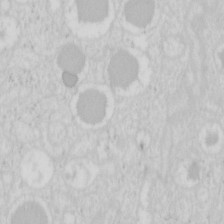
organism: Mouse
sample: Pancreas